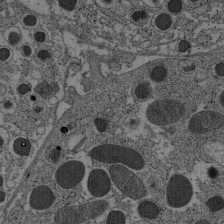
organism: C57BL Mouse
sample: Pancreatic islet